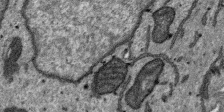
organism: Human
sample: Lung epithelial cells, uninfected (mock) control